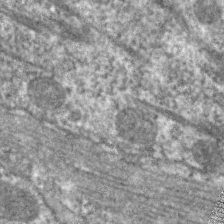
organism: C. elegans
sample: Pharynx